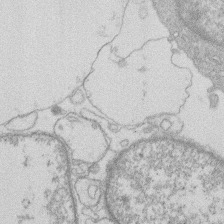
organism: Human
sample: Macrophage cells